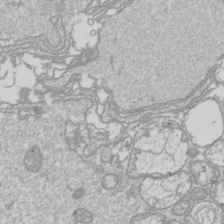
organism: Drosophila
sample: Cell division; meiosis; drosophila spermatocytes